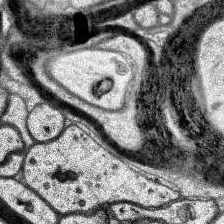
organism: Human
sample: Temporal Lobe